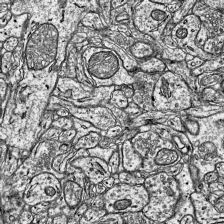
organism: Mouse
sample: Visual Cortex